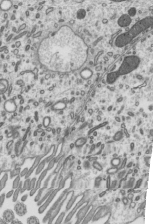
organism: Mouse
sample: Mouse epididymis efferent ductule cilia